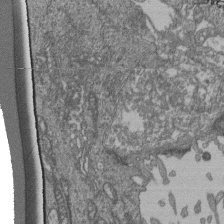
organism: Human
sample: Retinal organoid Rod and Cone cells